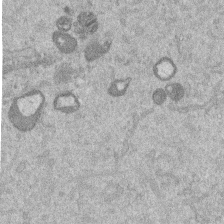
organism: Mouse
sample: Dividing mouse embryo 1 cell stage